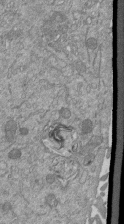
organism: Mouse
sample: ED-1 cell nuclei; centrioles